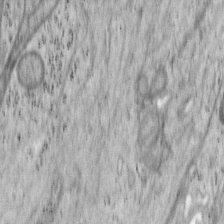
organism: Human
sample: HeLa cells